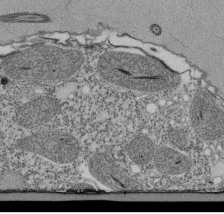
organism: Tetrahymena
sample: Cilia in tetrahymena